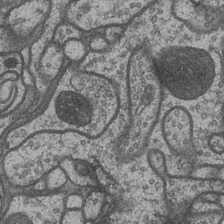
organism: Drosophila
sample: Optic medulla